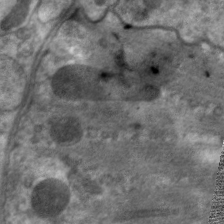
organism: C. elegans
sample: Pharynx